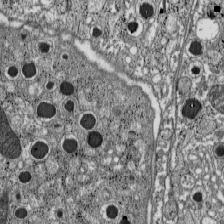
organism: C57BL Mouse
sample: Pancreatic islet